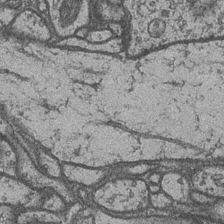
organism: Drosophila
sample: Optic medulla